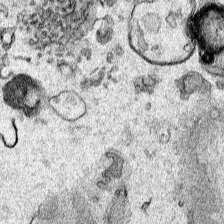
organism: Human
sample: Mitochondria in HCT116 cells